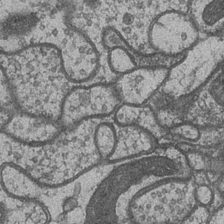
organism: Drosophila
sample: Optic medulla